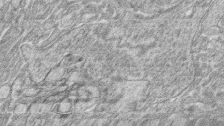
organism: Zebrafish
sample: synaptic ribbons in rod cells and cone cells